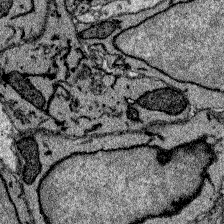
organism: Zebrafish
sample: Larval olfactory bulb